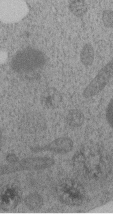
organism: C. elegans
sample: C. elegans embryo early stage